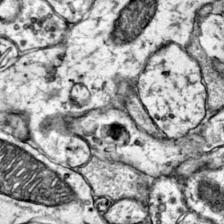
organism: Mouse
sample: Primary visual cortex